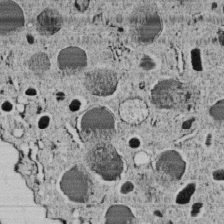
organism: C. elegans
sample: C. elegans embryo early stage